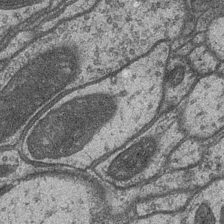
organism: Drosophila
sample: Optic medulla